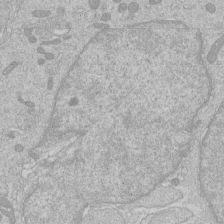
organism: Human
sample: Macrophage cells